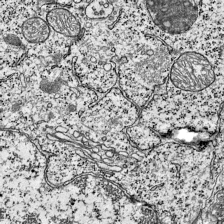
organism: Mouse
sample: Visual Cortex